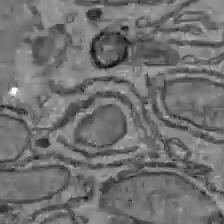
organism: C57BL Mouse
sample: Liver